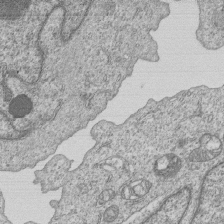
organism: Human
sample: MDA-MB-231 cells